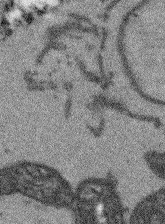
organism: Arabidopsis thaliana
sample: Root tip